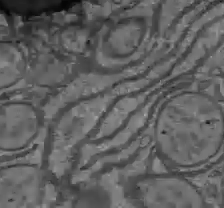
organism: C57BL Mouse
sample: Liver